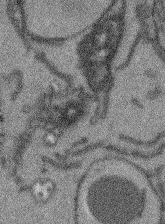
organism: Arabidopsis thaliana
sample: Root tip